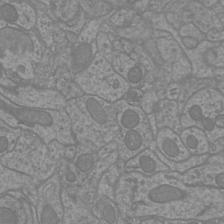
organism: Mouse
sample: Cortical neurons